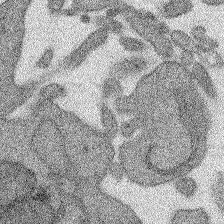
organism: Human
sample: HeLa cells